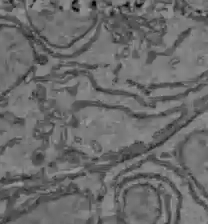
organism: C57BL Mouse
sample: Liver